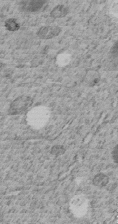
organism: C. elegans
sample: C. elegans embryo early stage